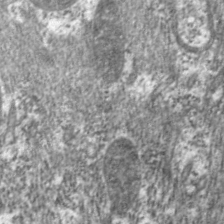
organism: C. elegans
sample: Pharynx